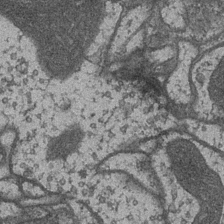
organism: Drosophila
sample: Optic medulla